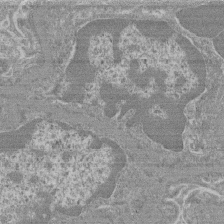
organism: Mouse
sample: Glomerulus